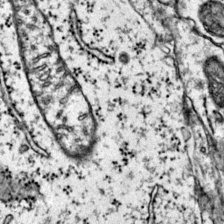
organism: Mouse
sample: Primary visual cortex